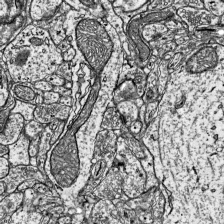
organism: Mouse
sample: Visual Cortex